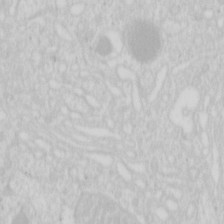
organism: Mouse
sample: Pancreas